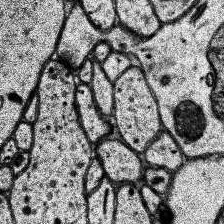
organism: Human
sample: Temporal Lobe